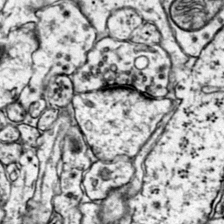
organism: Mouse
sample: Primary visual cortex